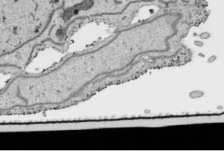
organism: Human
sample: Mitochondria in HCT116 cells